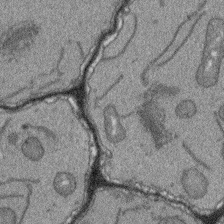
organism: Arabidopsis thaliana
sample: Root tip